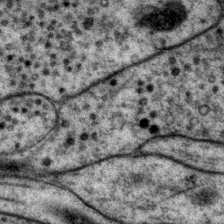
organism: P. pacificus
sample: Pharynx